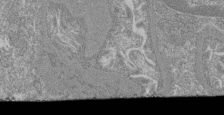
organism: Mouse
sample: Glomerulus